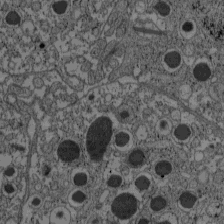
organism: C57BL Mouse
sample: Pancreatic islet